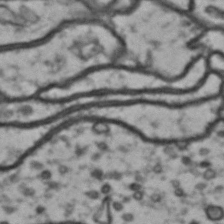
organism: Drosophila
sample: Brain